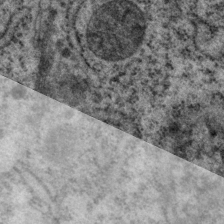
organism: P. pacificus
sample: Pharynx